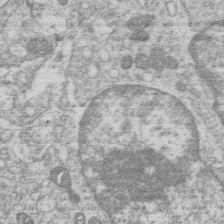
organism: Human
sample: Macrophage cells